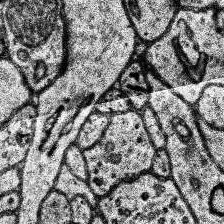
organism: Human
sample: Temporal Lobe